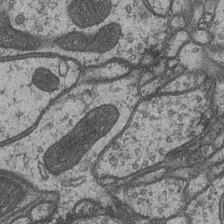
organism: Drosophila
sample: Optic medulla